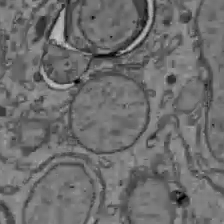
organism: C57BL Mouse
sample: Liver